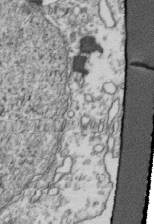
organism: Human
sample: Activated Jurkat CD4+ T cells